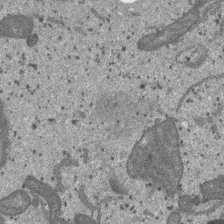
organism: Human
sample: Lung epithelial cells infected with SARS-CoV-2